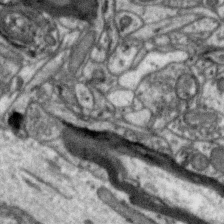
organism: Zebra finch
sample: Brain